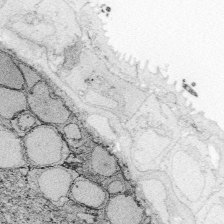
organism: Zebrafish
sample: Whole-Brain